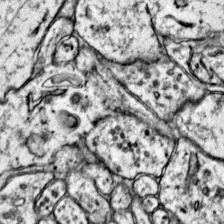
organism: Mouse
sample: Primary visual cortex